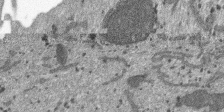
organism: Human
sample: Lung epithelial cells infected with SARS-CoV-2